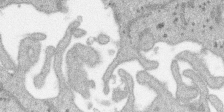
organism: Human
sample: Lung epithelial cells infected with SARS-CoV-2